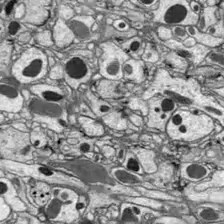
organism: Drosophila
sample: Optic lobe